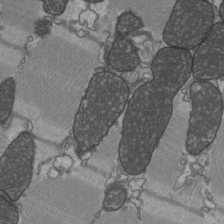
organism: C57BL Mouse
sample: Heart